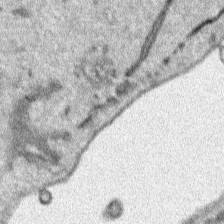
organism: Human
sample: Mitochondria in HCT116 cells